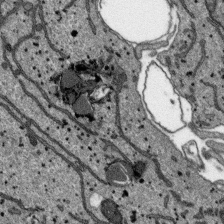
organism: Human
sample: Lung epithelial cells, uninfected (mock) control